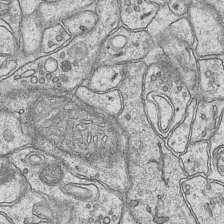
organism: Mouse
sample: CA1 Hippocampus